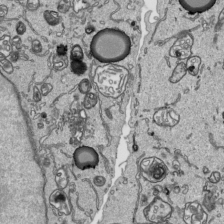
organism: Human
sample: Mitochondria in HCT116 cells